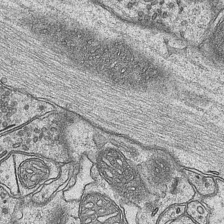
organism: Mouse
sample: CA1 Hippocampus